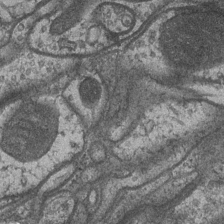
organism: Drosophila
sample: Optic medulla